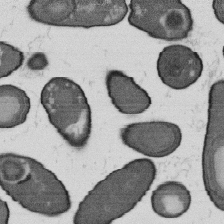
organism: B. subtilis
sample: Bacterial spore